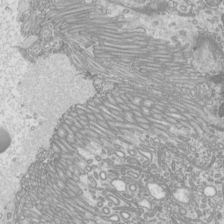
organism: Mouse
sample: Cilia; mouse epididymis